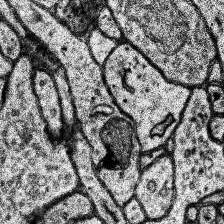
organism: Human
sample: Temporal Lobe